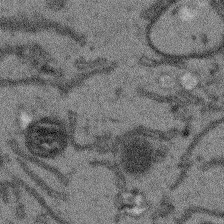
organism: Arabidopsis thaliana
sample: Root tip